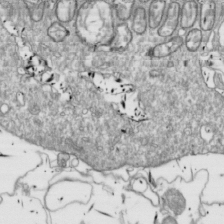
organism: Drosophila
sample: Cell division; meiosis; drosophila spermatocytes